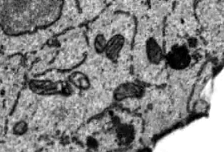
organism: Human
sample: HeLa cells